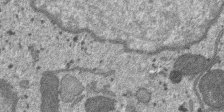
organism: Human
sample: Lung epithelial cells infected with SARS-CoV-2